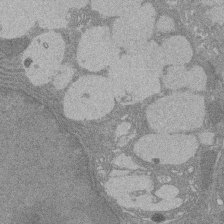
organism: Rat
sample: Salivary granule